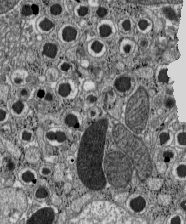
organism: C57BL Mouse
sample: Pancreatic islet